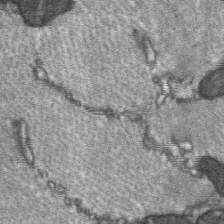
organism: C57BL Mouse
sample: Soleus